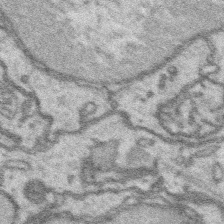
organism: Platynereis dumerilii